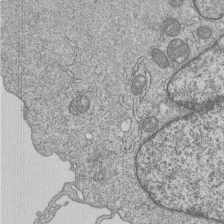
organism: Human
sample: MDA-MB-231 cells